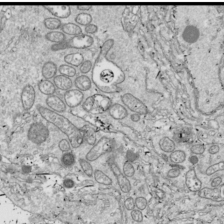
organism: Drosophila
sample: Cell division; meiosis; drosophila spermatocytes